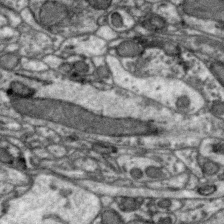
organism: Zebra finch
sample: Brain